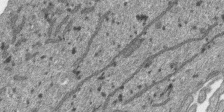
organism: Human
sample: Lung epithelial cells infected with SARS-CoV-2